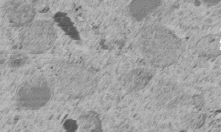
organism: C. elegans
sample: C. elegans embryo early stage